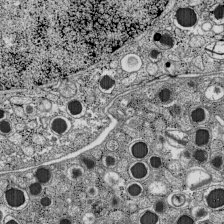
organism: C57BL Mouse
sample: Pancreatic islet